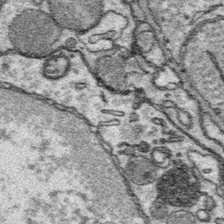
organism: Platynereis dumerilii